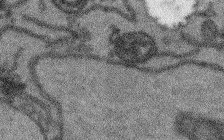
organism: Arabidopsis thaliana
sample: Root tip